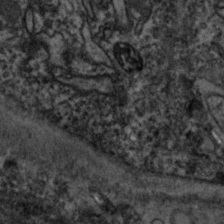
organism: Zebrafish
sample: Zebrafish embryo